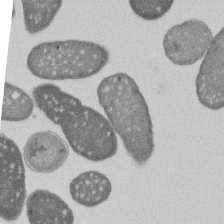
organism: E. coli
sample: Bacterial nucleoid